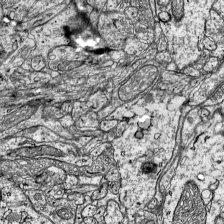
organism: Mouse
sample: Visual Cortex